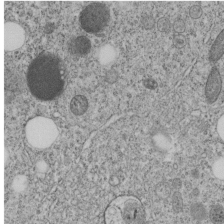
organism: C. elegans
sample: C. elegans embryo early stage